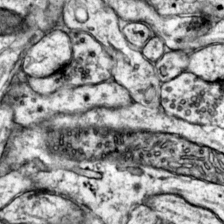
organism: Mouse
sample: Primary visual cortex